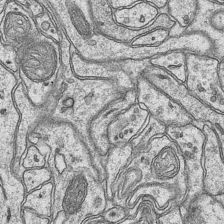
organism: Mouse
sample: CA1 Hippocampus